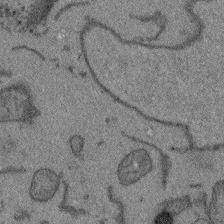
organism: Arabidopsis thaliana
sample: Root tip